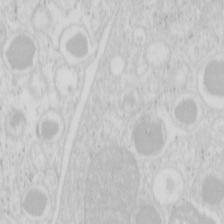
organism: Mouse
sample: Pancreas